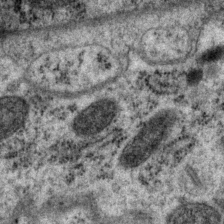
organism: P. pacificus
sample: Pharynx